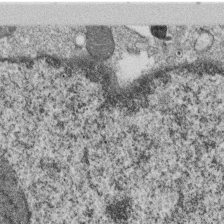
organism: African green monkey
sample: Vero E6 cells infected with SARS-CoV-2